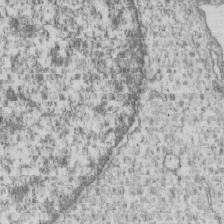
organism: Human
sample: MDA-MB-231 cells